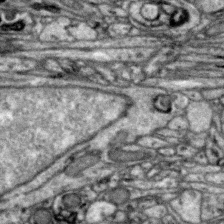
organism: Zebra finch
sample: Brain